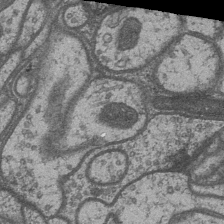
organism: Drosophila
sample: Optic medulla